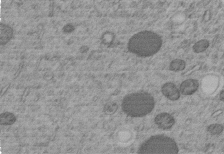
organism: C. elegans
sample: C. elegans embryo early stage